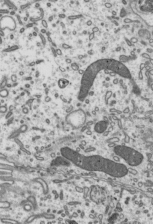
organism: Mouse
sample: Mouse epididymis efferent ductule cilia